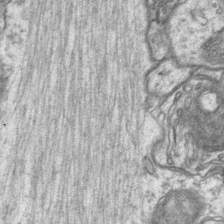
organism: Mouse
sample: CA1 Hippocampus